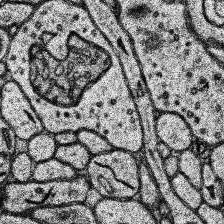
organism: Human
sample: Temporal Lobe